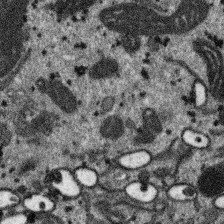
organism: Human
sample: Lung epithelial cells infected with SARS-CoV-2